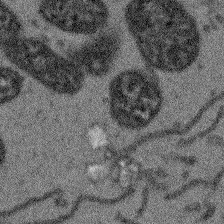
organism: Arabidopsis thaliana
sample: Root tip